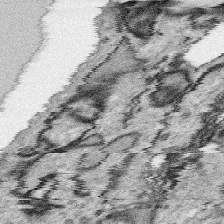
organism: Human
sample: HeLa cells